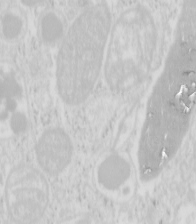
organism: Mouse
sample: Pancreas